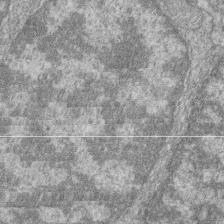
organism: Zebrafish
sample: Cilia; retinal pigment epithelium